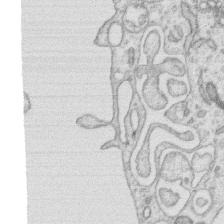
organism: Human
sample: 1205lu cells